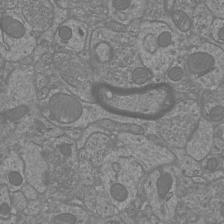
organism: Mouse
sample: Cortical neurons